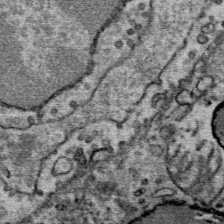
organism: Mouse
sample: Mouse Salivary gland